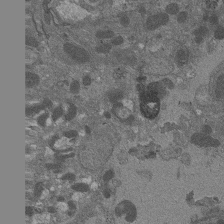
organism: Drosophila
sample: Antenna